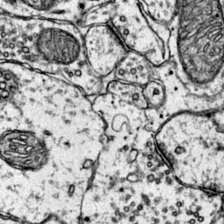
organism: Mouse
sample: Primary visual cortex